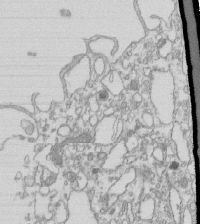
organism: Mouse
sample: Macrophages